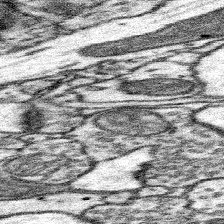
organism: Mouse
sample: Somatosensory cortex neuropil